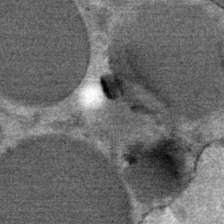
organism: Mouse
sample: Mouse Salivary gland